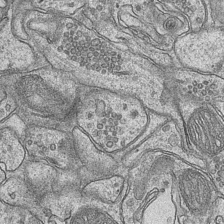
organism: Mouse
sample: CA1 Hippocampus